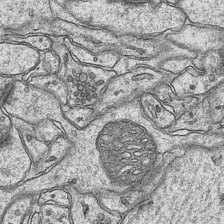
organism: Mouse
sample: CA1 Hippocampus